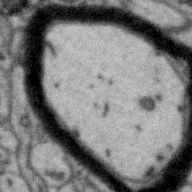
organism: Zebra finch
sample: Brain